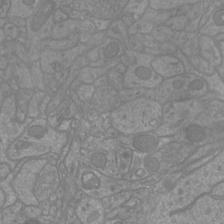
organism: Mouse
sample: Cortical neurons